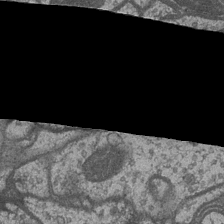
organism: Drosophila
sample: Optic medulla